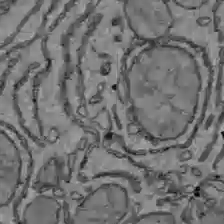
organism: C57BL Mouse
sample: Liver